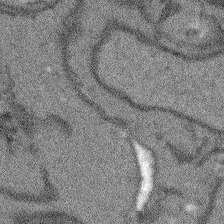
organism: Arabidopsis thaliana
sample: Root tip